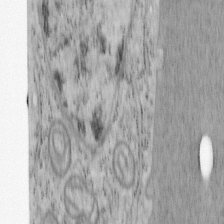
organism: Human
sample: HeLa cells